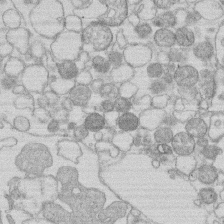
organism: Human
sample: Macrophage cells